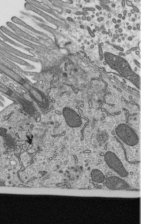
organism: Mouse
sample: Mouse epididymis efferent ductule cilia